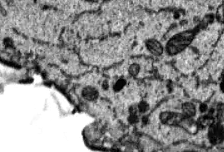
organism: Human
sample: HeLa cells